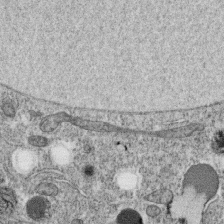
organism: C. elegans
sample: C. elegans oocyte; sperm cells